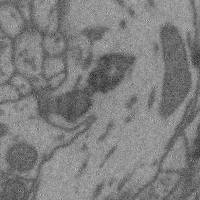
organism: Mouse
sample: Cerebral cortex